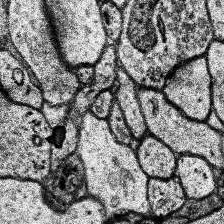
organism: Human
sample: Temporal Lobe